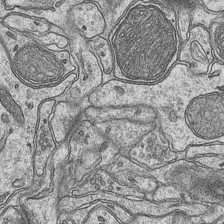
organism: Mouse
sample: CA1 Hippocampus